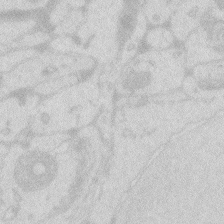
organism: Zebrafish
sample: Macrophage